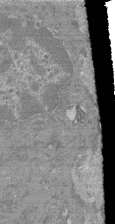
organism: Mouse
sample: Glomerulus